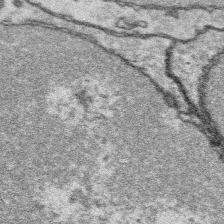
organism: Platynereis dumerilii